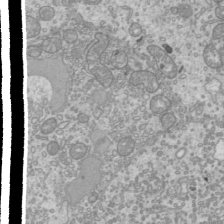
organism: Mouse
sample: Cilia; mouse epididymis